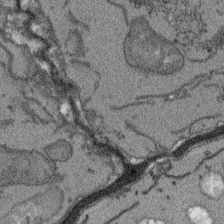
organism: Arabidopsis thaliana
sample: Root tip